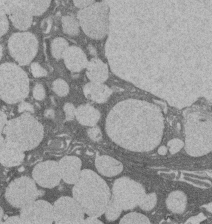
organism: Rat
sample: Salivary granule